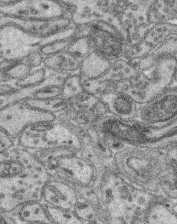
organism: Mouse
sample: Retina